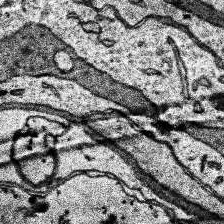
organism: Human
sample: Temporal Lobe